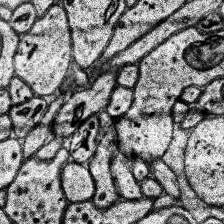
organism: Human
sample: Temporal Lobe